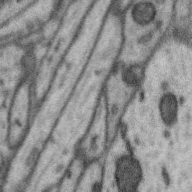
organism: Zebra finch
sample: Brain